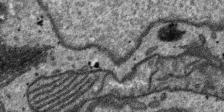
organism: Human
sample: Lung epithelial cells, uninfected (mock) control